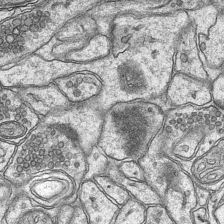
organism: Mouse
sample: CA1 Hippocampus